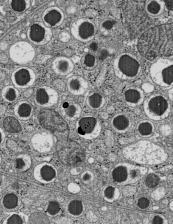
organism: C57BL Mouse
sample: Pancreatic islet